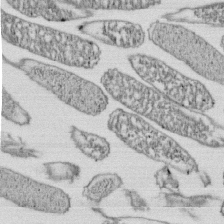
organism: E. coli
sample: Bacterial nucleoid